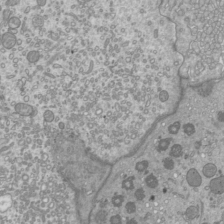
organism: Mouse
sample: Cilia; mouse epididymis